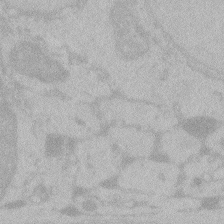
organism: Zebrafish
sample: Macrophage infected with Toxoplasma gondii